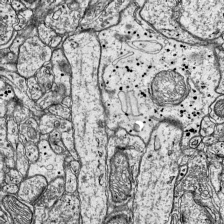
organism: Mouse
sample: Visual Cortex